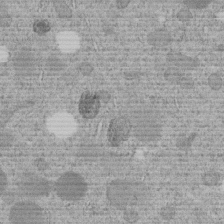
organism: C. elegans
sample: C. elegans embryo early stage